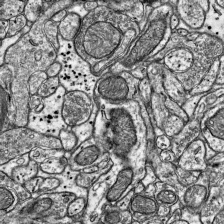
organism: Mouse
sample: Visual Cortex